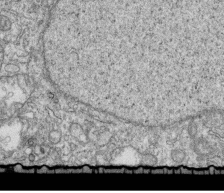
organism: Human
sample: HeLa cell HIV synapse